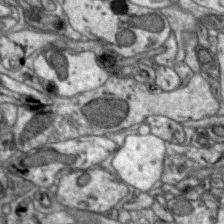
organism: Zebra finch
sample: Brain